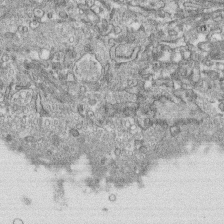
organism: Human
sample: CRL-1474